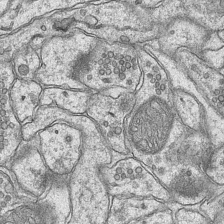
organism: Mouse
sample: CA1 Hippocampus